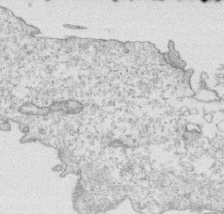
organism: Human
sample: HeLa cell HIV synapse